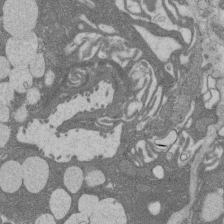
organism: Rat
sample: Salivary granule